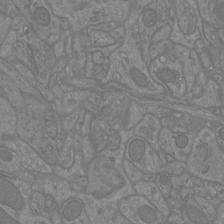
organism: Mouse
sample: Cortical neurons